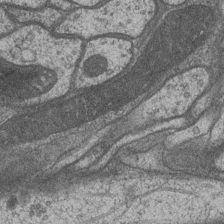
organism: Drosophila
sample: Optic medulla